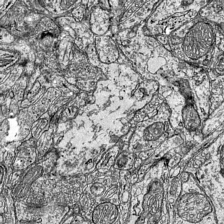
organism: Mouse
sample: Visual Cortex